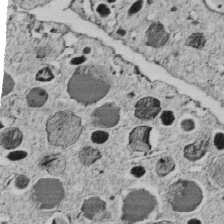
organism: C. elegans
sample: C. elegans embryo early stage